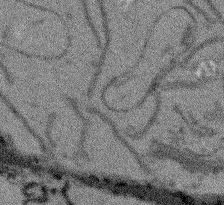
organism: Arabidopsis thaliana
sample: Root tip